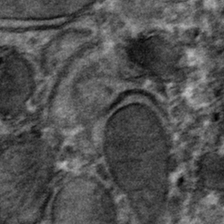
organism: Mouse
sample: Mouse hepatocytes